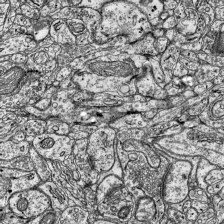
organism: Mouse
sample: Visual Cortex